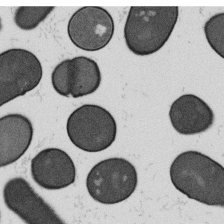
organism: B. subtilis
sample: Bacterial spore